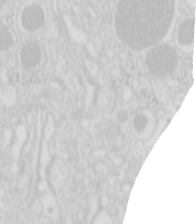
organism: Mouse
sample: Pancreas